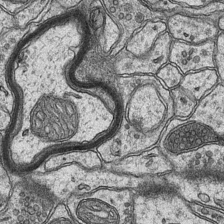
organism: Mouse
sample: CA1 Hippocampus